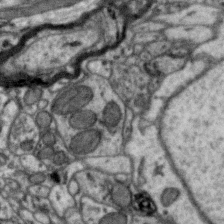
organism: Zebra finch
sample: Brain